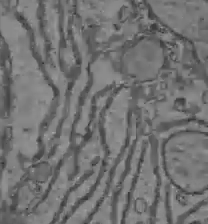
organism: C57BL Mouse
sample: Liver